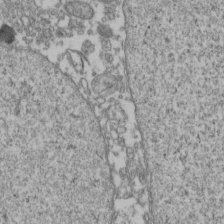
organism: Human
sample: Activated Jurkat CD4+ T cells